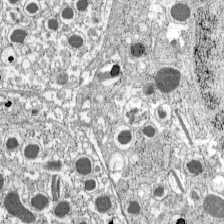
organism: C57BL Mouse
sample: Pancreatic islet